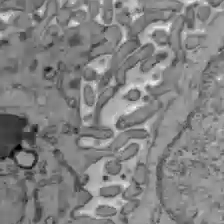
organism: C57BL Mouse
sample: Liver